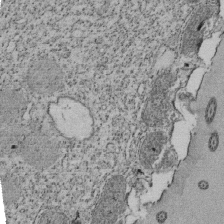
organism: Tetrahymena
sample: Cilia in tetrahymena